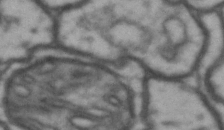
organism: Drosophila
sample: Brain